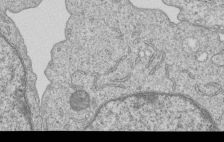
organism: Human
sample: MDA-MB-231 cells